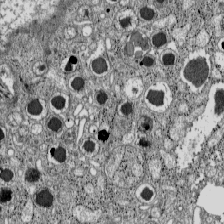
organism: C57BL Mouse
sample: Pancreatic islet